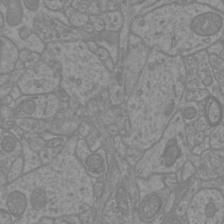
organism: Mouse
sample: Cortical neurons